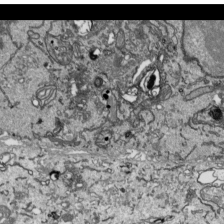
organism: Human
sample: Mitochondria in HCT116 cells